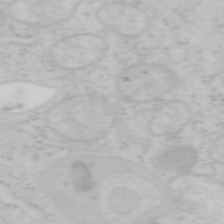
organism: Mouse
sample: OT-I killer T cells with ID8 ovarian cancer cells